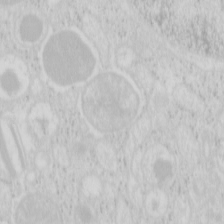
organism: Mouse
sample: Pancreas